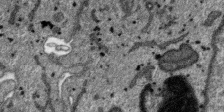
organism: Human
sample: Lung epithelial cells, uninfected (mock) control